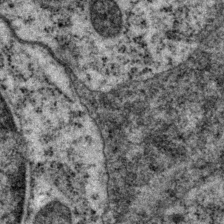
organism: P. pacificus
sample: Pharynx